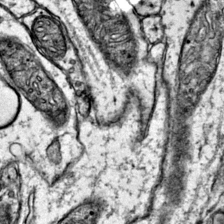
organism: Mouse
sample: Primary visual cortex